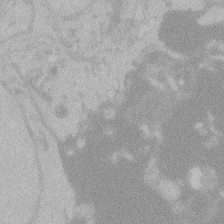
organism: Zebrafish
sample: Macrophage infected with Toxoplasma gondii